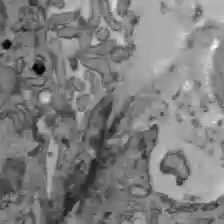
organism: C57BL Mouse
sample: Liver